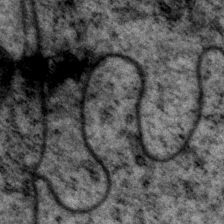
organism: P. pacificus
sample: Pharynx